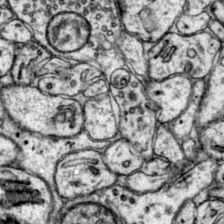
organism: Mouse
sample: Primary visual cortex